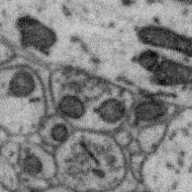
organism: Zebra finch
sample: Brain